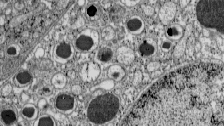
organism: C57BL Mouse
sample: Pancreatic islet